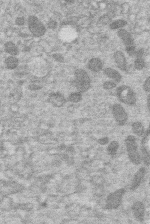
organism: Human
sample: Macrophage cells